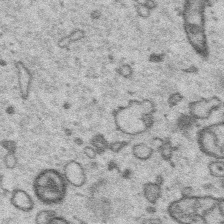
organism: Platynereis dumerilii